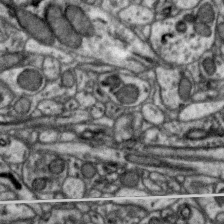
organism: Zebra finch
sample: Brain